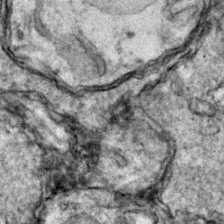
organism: Zebrafish